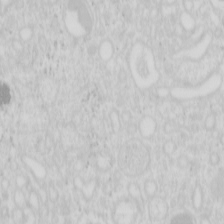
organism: Mouse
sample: Pancreas